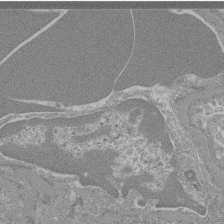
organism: Mouse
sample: Glomerulus